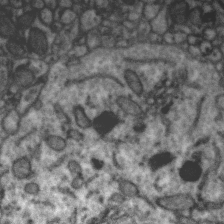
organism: Zebra finch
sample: Brain